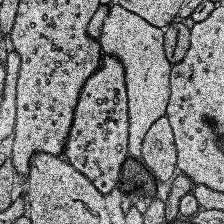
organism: Human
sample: Temporal Lobe